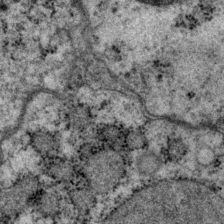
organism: P. pacificus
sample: Pharynx